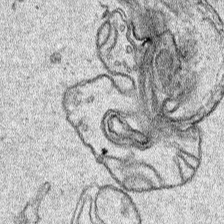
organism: Human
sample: Mitochondria in HCT116 cells